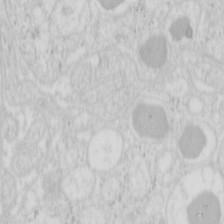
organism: Mouse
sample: Pancreas